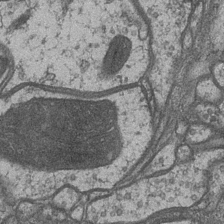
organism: Drosophila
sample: Optic medulla